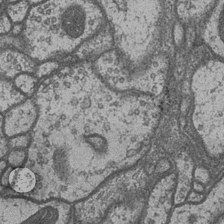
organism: Drosophila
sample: Optic medulla